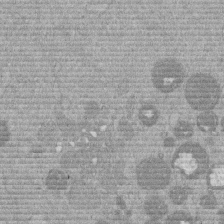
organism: Mouse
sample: Dividing mouse embryo 1 cell stage